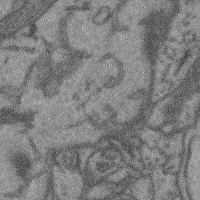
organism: Mouse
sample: Cerebral cortex